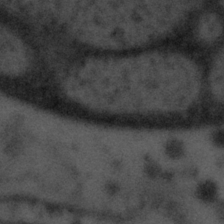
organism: Tuwongella immobilis